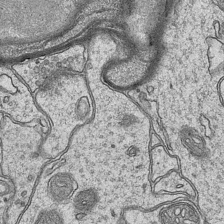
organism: Mouse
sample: CA1 Hippocampus